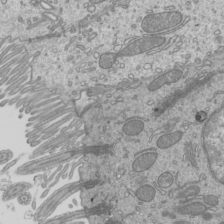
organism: Mouse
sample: Cilia; mouse epididymis